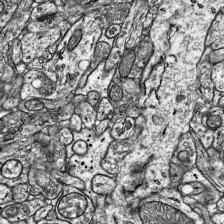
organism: Mouse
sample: Visual Cortex